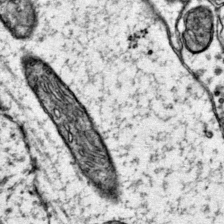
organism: Mouse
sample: Primary visual cortex